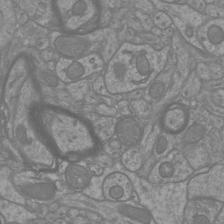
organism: Mouse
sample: Cortical neurons